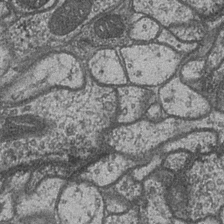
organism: Drosophila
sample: Optic medulla